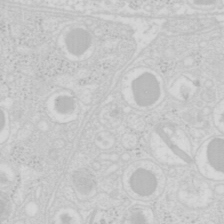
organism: Mouse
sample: Pancreas